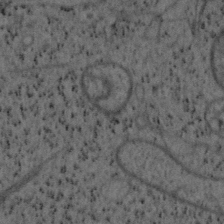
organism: Human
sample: HeLa cells